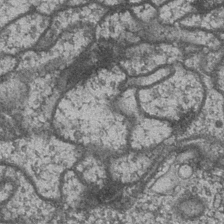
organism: Drosophila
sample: Optic medulla